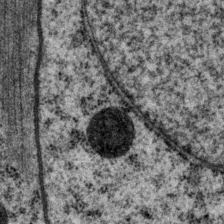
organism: P. pacificus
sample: Pharynx